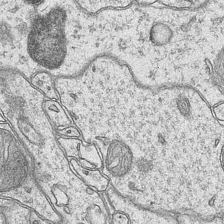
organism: Mouse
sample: CA1 Hippocampus